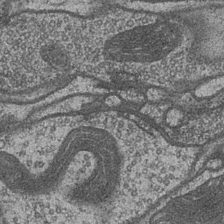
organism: Drosophila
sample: Optic medulla